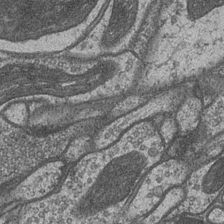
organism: Drosophila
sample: Optic medulla